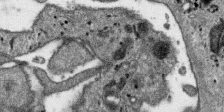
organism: Human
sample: Lung epithelial cells, uninfected (mock) control